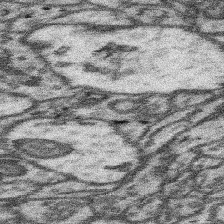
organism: Mouse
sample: Somatosensory cortex neuropil